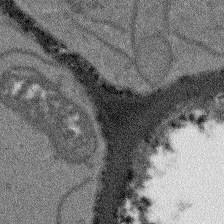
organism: Arabidopsis thaliana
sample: Root tip